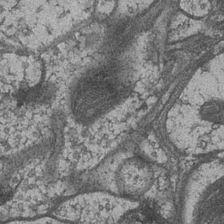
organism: Drosophila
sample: Optic medulla